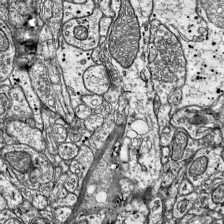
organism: Mouse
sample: Visual Cortex